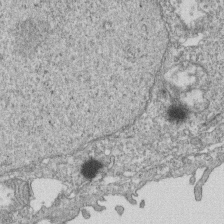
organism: Human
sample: HeLa cell HIV synapse